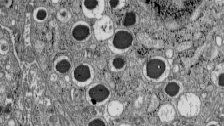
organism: C57BL Mouse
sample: Pancreatic islet